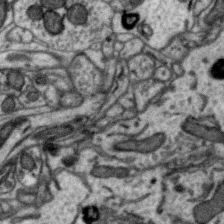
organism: Zebra finch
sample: Brain